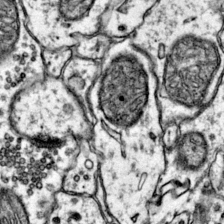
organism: Mouse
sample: Primary visual cortex